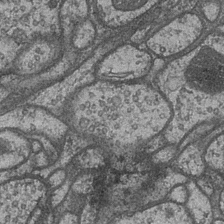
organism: Drosophila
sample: Optic medulla